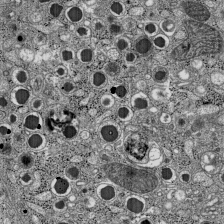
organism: C57BL Mouse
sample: Pancreatic islet